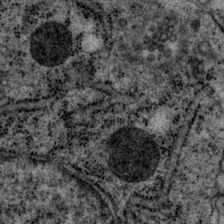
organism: P. pacificus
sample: Pharynx